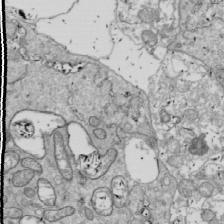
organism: Drosophila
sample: Cell division; meiosis; drosophila spermatocytes